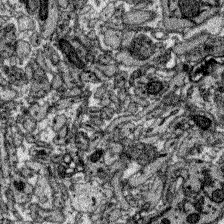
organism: Zebrafish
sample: Larval olfactory bulb